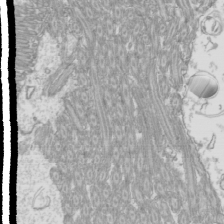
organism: Mouse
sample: Cilia; mouse epididymis